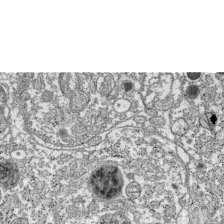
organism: C57BL Mouse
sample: Pancreatic islet